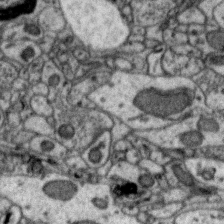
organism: Zebra finch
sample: Brain